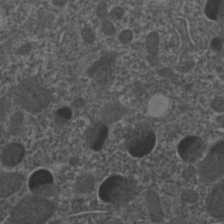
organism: C. elegans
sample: C. elegans embryo